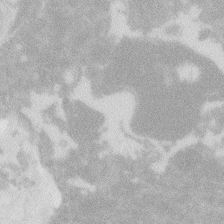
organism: Zebrafish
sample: Macrophage